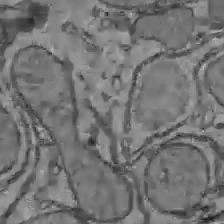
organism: C57BL Mouse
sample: Liver